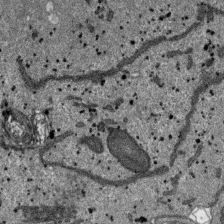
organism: Human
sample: Lung epithelial cells, uninfected (mock) control